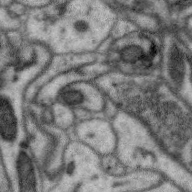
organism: Zebra finch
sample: Brain